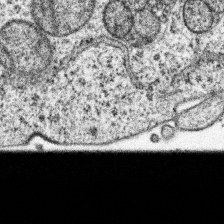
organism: Human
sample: HeLa cells